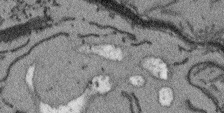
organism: Arabidopsis thaliana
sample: Root tip